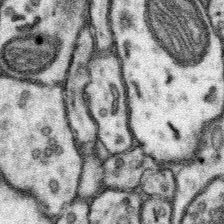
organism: Mouse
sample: Somatosensory cortex neuropil